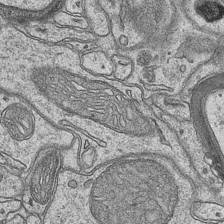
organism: Mouse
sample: CA1 Hippocampus